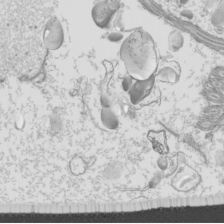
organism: Mouse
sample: Cilia; mouse epididymis